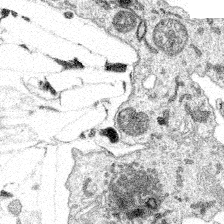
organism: Spongilla lacustris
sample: Multiple